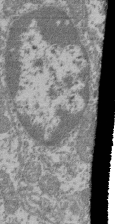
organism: Mouse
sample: Glomerulus